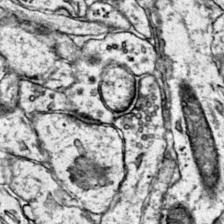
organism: Mouse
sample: Primary visual cortex